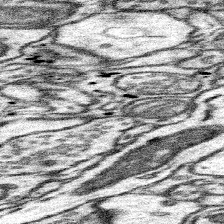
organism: Mouse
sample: Somatosensory cortex neuropil